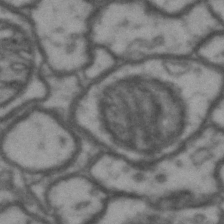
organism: Drosophila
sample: Brain